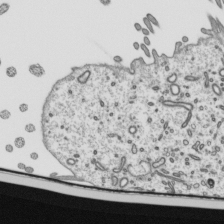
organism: Mouse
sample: Mouse epididymis efferent ductule cilia